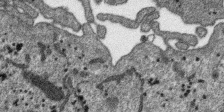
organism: Human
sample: Lung epithelial cells infected with SARS-CoV-2